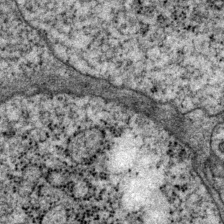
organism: P. pacificus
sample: Pharynx